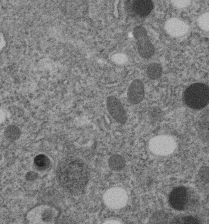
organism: C. elegans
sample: C. elegans embryo early stage